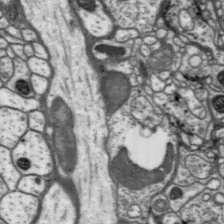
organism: Drosophila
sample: Protocerebral bridge